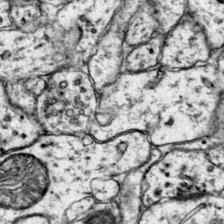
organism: Mouse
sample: Primary visual cortex